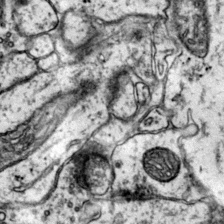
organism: Mouse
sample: Primary visual cortex